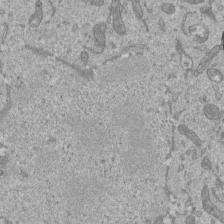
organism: Mouse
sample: ED-1 cell nuclei; centrioles